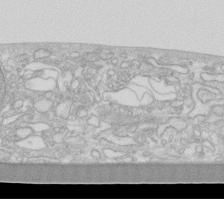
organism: Human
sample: Fibroblast cells